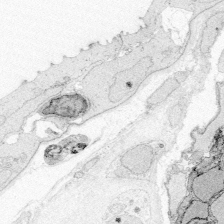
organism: Zebrafish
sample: Whole-Brain